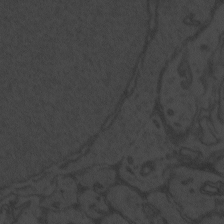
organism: Zebrafish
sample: Macrophage infected with Toxoplasma gondii